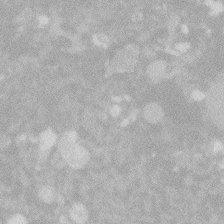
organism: Zebrafish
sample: Macrophage